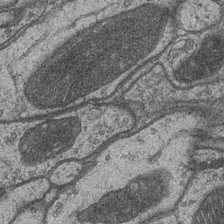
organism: Drosophila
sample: Optic medulla